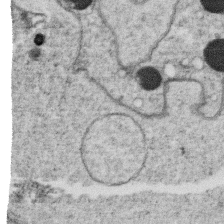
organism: C. elegans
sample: C. elegans oocyte; sperm cells